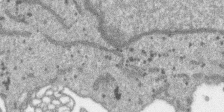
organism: Human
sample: Lung epithelial cells infected with SARS-CoV-2